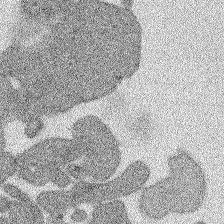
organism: Human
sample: HeLa cells